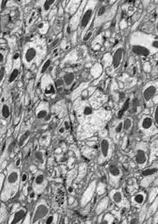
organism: Drosophila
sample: Optic lobe